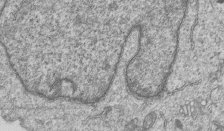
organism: Human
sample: MDA-MB-231 cells